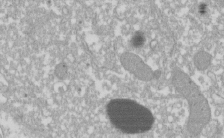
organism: Xenopus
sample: Cilia; centrioles in frog embryo cells